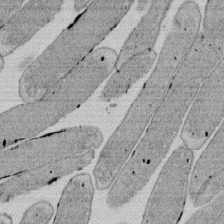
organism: E. coli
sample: Bacterial nucleoid